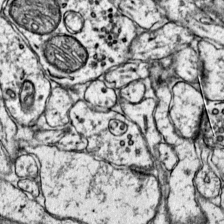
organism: Mouse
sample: Primary visual cortex